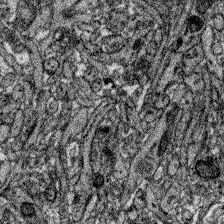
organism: Zebrafish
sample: Larval olfactory bulb